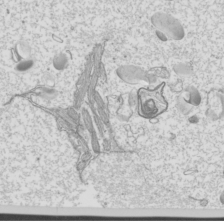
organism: Mouse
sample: Cilia; mouse epididymis